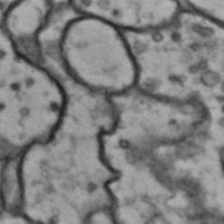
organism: Drosophila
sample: Brain